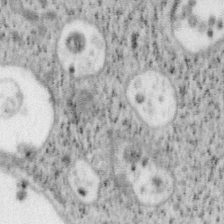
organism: Mouse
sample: OT-I killer T cells with ID8 ovarian cancer cells